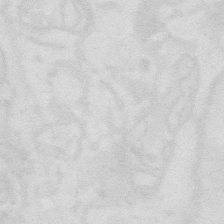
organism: Human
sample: HeLa cells